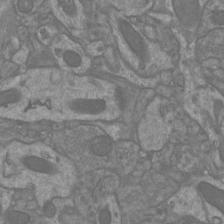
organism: Mouse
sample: Cortical neurons